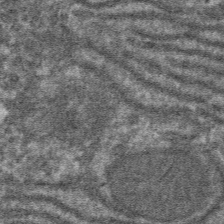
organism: Mouse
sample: Mouse hepatocytes